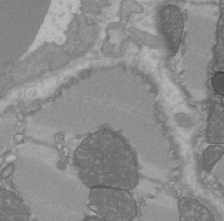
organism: C57BL Mouse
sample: Heart